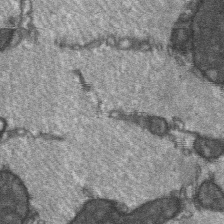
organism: C57BL Mouse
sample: Soleus